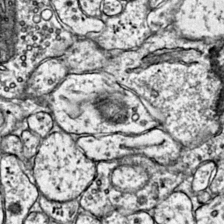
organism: Mouse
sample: Primary visual cortex